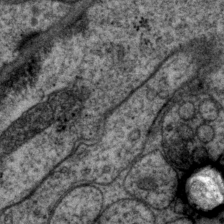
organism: P. pacificus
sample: Pharynx